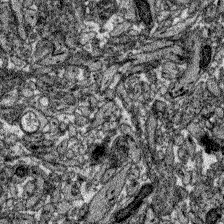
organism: Zebrafish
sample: Larval olfactory bulb